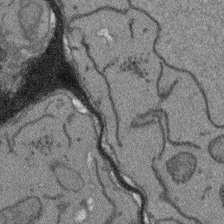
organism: Arabidopsis thaliana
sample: Root tip